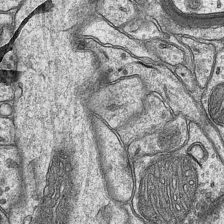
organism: Mouse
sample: CA1 Hippocampus